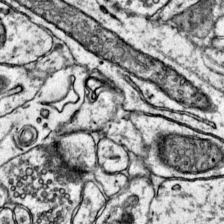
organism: Mouse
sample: Primary visual cortex